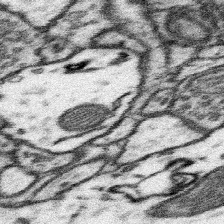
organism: Mouse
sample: Somatosensory cortex neuropil